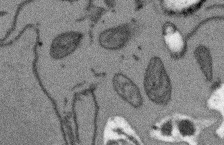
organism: Arabidopsis thaliana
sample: Root tip